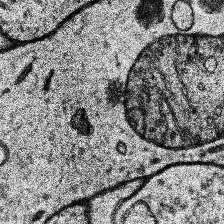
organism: Human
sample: Temporal Lobe